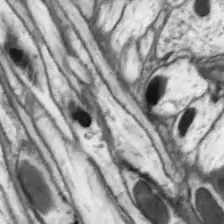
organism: Drosophila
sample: Optic lobe